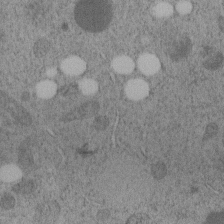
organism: C. elegans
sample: C. elegans embryo early stage